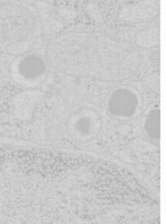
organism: Mouse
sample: Pancreas